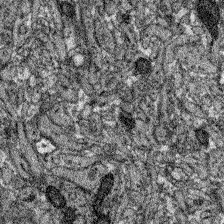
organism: Zebrafish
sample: Larval olfactory bulb